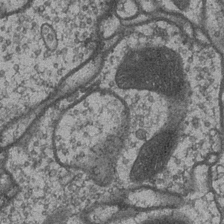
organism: Drosophila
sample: Optic medulla